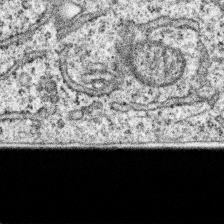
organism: Human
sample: HeLa cells